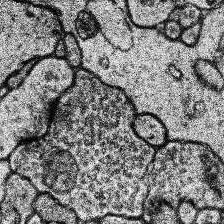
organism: Human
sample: Temporal Lobe